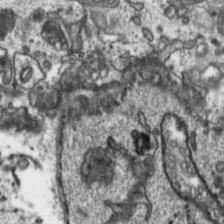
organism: Toxoplasma gondii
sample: Parasites in a vacuole inside a host cell